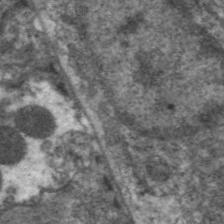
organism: C. elegans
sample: Pharynx